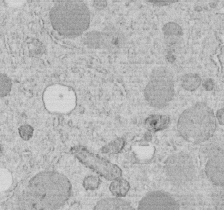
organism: C. elegans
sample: C. elegans embryo early stage